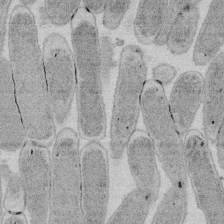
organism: E. coli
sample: Bacterial nucleoid